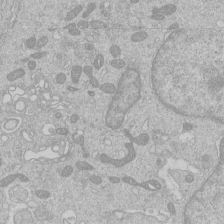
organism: Human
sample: Macrophage cells